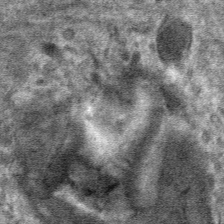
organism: Mouse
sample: Mouse hepatocytes